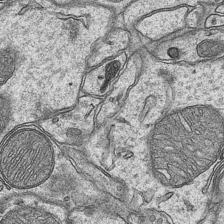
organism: Mouse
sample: CA1 Hippocampus